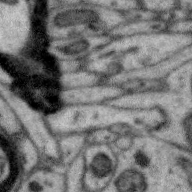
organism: Zebra finch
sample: Brain